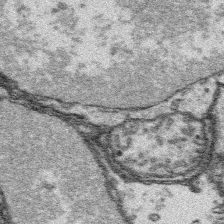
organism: Platynereis dumerilii